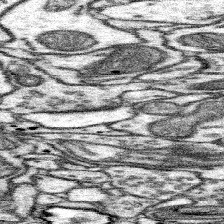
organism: Mouse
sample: Somatosensory cortex neuropil